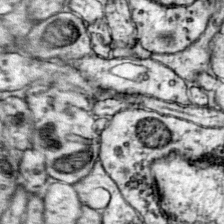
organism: Mouse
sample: Primary visual cortex